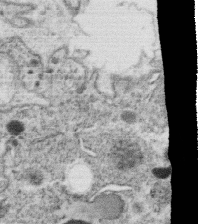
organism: C. elegans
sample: C. elegans oocyte; sperm cells